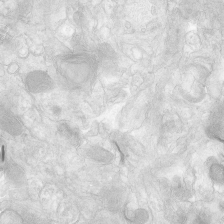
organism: Human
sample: Neocortex